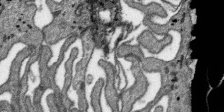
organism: Human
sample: Lung epithelial cells, uninfected (mock) control